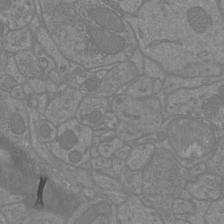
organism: Mouse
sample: Cortical neurons